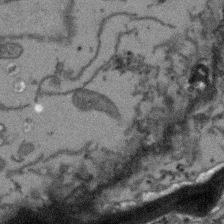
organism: Arabidopsis thaliana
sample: Root tip